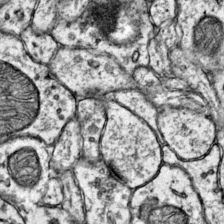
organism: Mouse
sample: Primary visual cortex